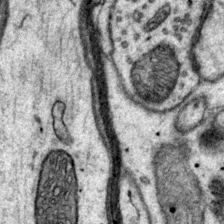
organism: Mouse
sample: Primary visual cortex